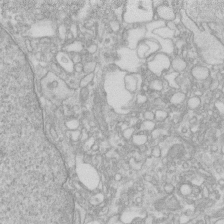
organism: Human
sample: Fibroblast cells